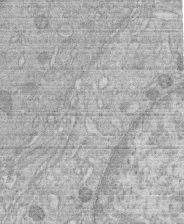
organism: Human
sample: Macrophage cells